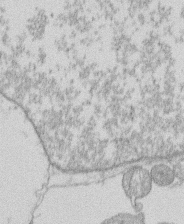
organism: Human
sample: Macrophage cells